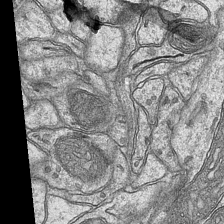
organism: Mouse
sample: CA1 Hippocampus